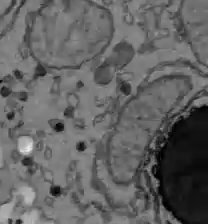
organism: C57BL Mouse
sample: Liver